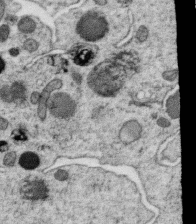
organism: C. elegans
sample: C. elegans oocyte; sperm cells